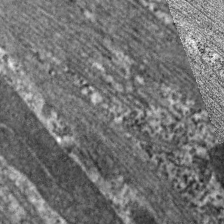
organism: C. elegans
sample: Pharynx